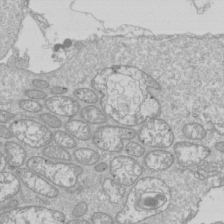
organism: Drosophila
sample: Cell division; meiosis; drosophila spermatocytes